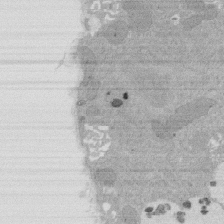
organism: Rat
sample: Salivary granule